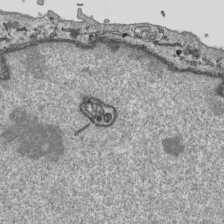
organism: Human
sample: Mitochondria in HCT116 cells